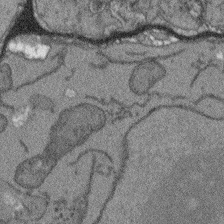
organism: Arabidopsis thaliana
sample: Root tip